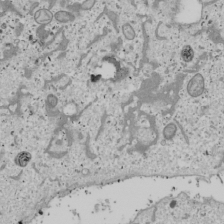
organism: Human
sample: Mitochondria in U2OS cells